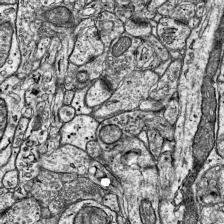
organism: Mouse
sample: Visual Cortex